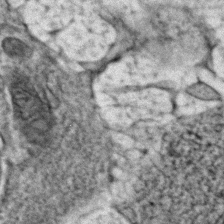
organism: Zebrafish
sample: Zebrafish embryo